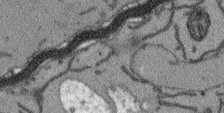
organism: Arabidopsis thaliana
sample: Root tip